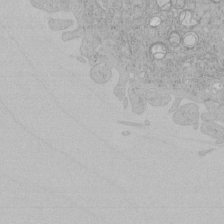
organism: Human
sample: Mitochondria in HCT116 cells